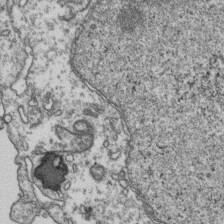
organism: Human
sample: Activated Jurkat CD4+ T cells